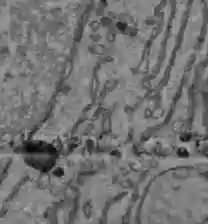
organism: C57BL Mouse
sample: Liver